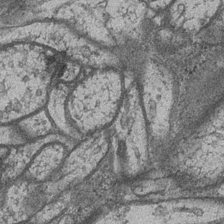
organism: Drosophila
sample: Optic medulla